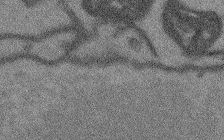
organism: Arabidopsis thaliana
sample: Root tip